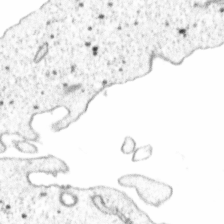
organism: Human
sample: HeLa cells